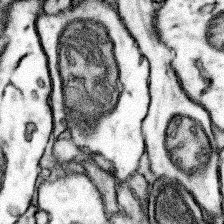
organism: Mouse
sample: Somatosensory cortex neuropil